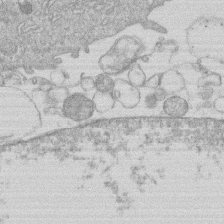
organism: Human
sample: Macrophage cells